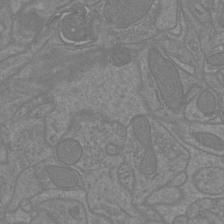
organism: Mouse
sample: Cortical neurons